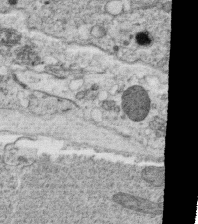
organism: C. elegans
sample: C. elegans oocyte; sperm cells